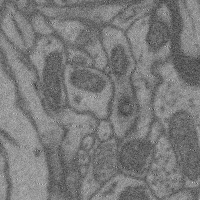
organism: Mouse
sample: Cerebral cortex